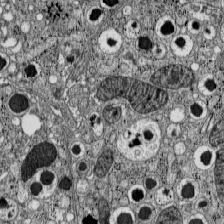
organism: C57BL Mouse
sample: Pancreatic islet